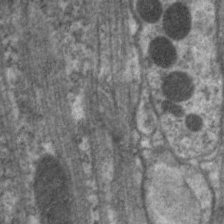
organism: C. elegans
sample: Pharynx